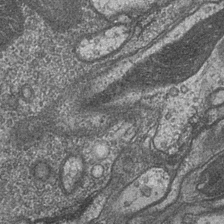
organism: Drosophila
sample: Optic medulla